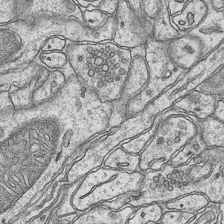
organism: Mouse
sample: CA1 Hippocampus